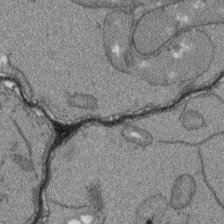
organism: Arabidopsis thaliana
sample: Root tip